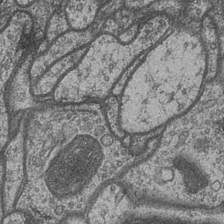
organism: Drosophila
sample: Optic medulla